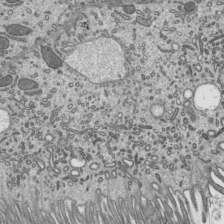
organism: Mouse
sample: Mouse epididymis efferent ductule cilia